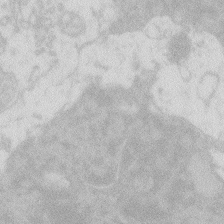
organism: Zebrafish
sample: Macrophage